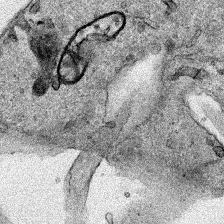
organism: Human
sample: Mitochondria in HCT116 cells